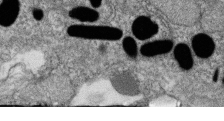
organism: Zebrafish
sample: Cilia; retinal pigment epithelium